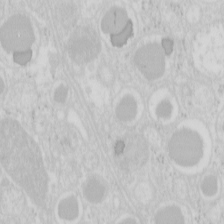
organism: Mouse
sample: Pancreas